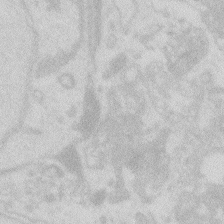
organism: Zebrafish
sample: Macrophage